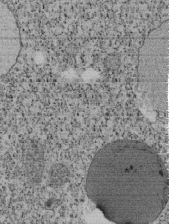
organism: Tetrahymena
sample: Cilia in tetrahymena